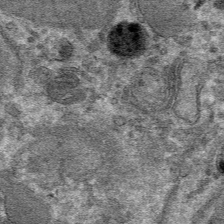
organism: Mouse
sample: Mouse hepatocytes